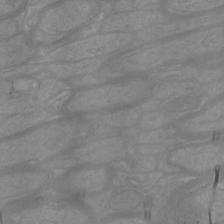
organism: Mouse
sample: Cortical neurons